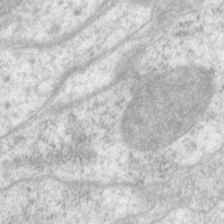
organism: P. pacificus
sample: Pharynx